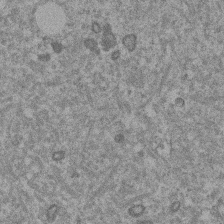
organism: Mouse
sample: Dividing mouse embryo 1 cell stage